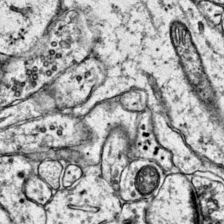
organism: Mouse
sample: Primary visual cortex